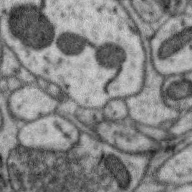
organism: Zebra finch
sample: Brain